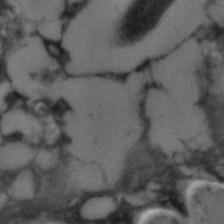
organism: C. elegans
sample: C. elegans embryo